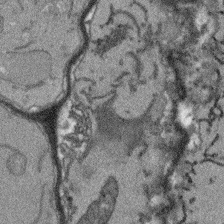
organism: Arabidopsis thaliana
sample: Root tip